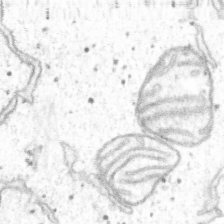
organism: Human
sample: HeLa cells